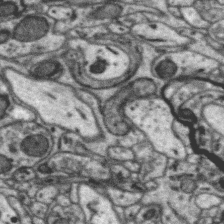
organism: Zebra finch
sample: Brain